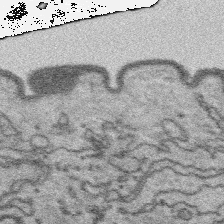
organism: Platynereis dumerilii